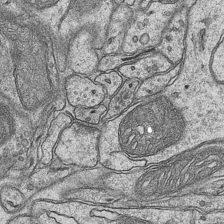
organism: Mouse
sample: CA1 Hippocampus